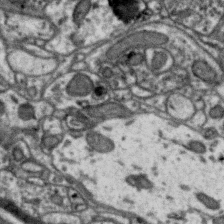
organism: Zebra finch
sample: Brain